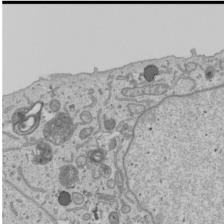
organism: Human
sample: Mitochondria in U2OS cells